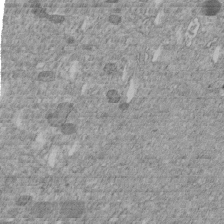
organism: C. elegans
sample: C. elegans embryo early stage